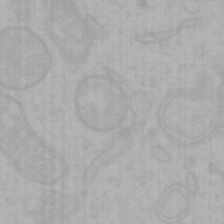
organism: Mouse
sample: Choroid plexus